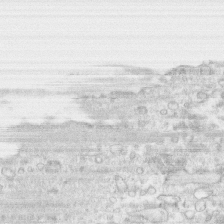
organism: Human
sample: CRL-1474